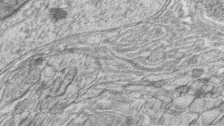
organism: Zebrafish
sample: synaptic ribbons in rod cells and cone cells